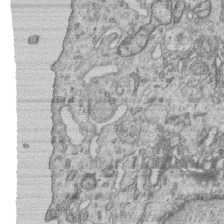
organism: Human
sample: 1205lu cells